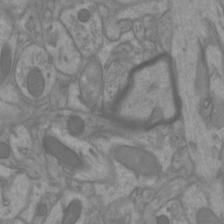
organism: Mouse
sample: Cortical neurons